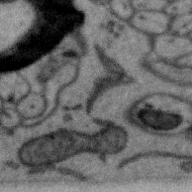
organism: Zebra finch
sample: Brain